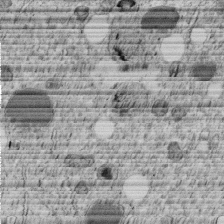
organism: C. elegans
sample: C. elegans embryo early stage